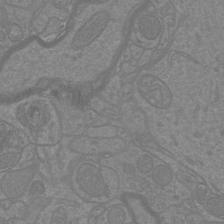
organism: Mouse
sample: Cortical neurons